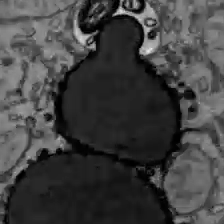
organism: C57BL Mouse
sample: Liver